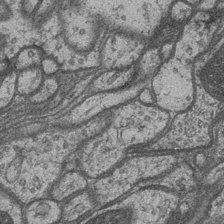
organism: Drosophila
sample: Optic medulla